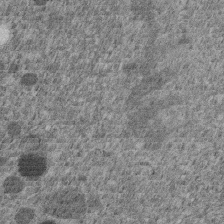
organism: C. elegans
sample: C. elegans embryo early stage